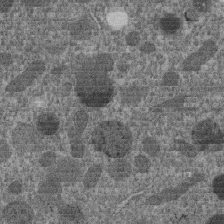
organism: C. elegans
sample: C. elegans embryo early stage